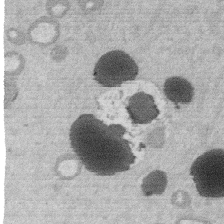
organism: Mouse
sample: Dividing mouse embryo 1 cell stage